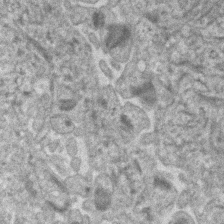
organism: Human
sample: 1205lu cells